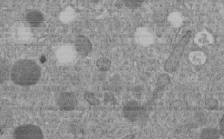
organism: C. elegans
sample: C. elegans embryo early stage